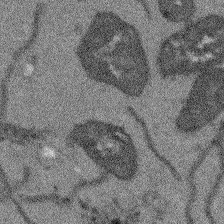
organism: Arabidopsis thaliana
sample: Root tip